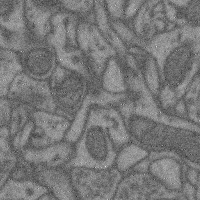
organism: Mouse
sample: Cerebral cortex